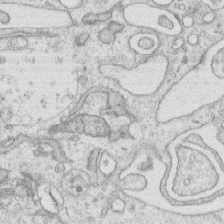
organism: Human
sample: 1205lu cells